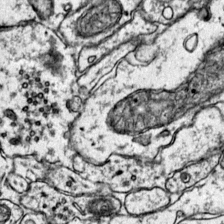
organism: Mouse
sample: Primary visual cortex